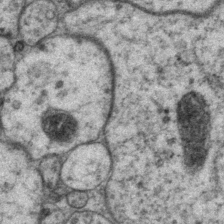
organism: P. pacificus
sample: Pharynx